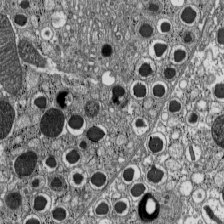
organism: C57BL Mouse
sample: Pancreatic islet